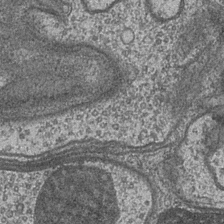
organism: Drosophila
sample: Optic medulla